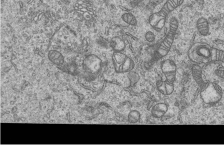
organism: Human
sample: MDA-MB-231 cells